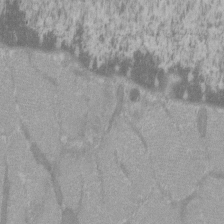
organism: C57BL Mouse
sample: Tibialis anterior muscle cell